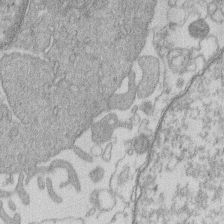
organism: Human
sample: Macrophage cells